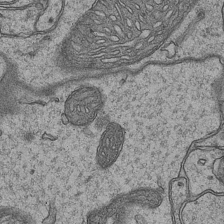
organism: Mouse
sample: CA1 Hippocampus